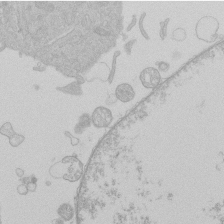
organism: Human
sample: Macrophage cells